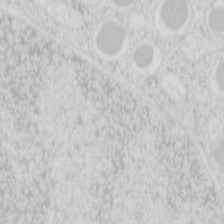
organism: Mouse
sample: Pancreas